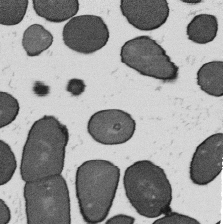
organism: B. subtilis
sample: Bacterial spore